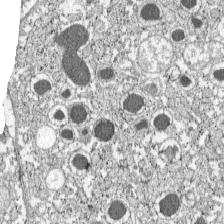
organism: C57BL Mouse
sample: Pancreatic islet